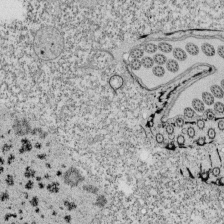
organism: Tetrahymena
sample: Cilia in tetrahymena